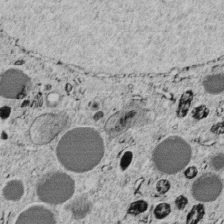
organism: C. elegans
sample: C. elegans embryo early stage